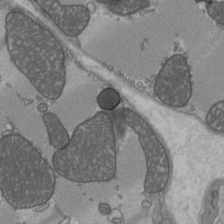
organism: C57BL Mouse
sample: Heart